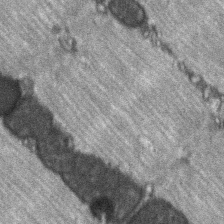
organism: C57BL Mouse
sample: Soleus